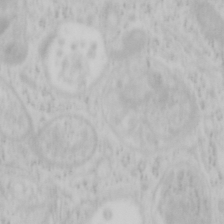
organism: Mouse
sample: OT-I killer T cells with ID8 ovarian cancer cells